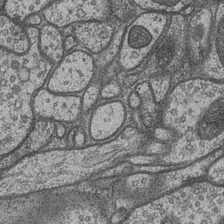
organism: Drosophila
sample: Optic medulla